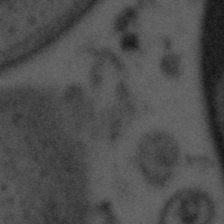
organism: Tuwongella immobilis